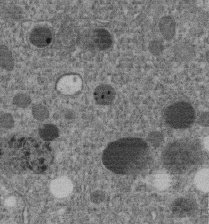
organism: C. elegans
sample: C. elegans embryo early stage